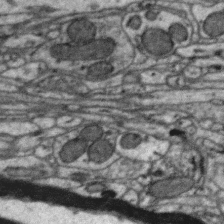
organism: Zebra finch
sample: Brain